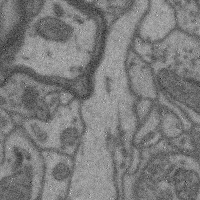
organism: Mouse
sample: Cerebral cortex